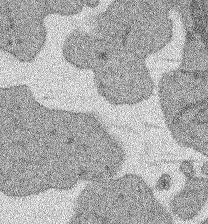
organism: Human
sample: HeLa cells